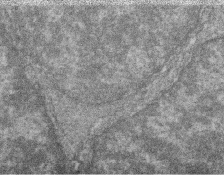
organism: Zebrafish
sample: Cilia; retinal pigment epithelium